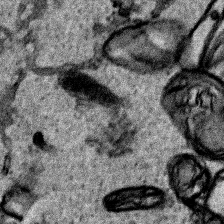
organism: Human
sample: Mitochondria in HCT116 cells